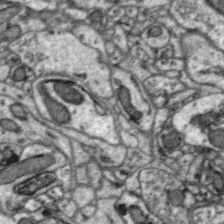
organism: Zebra finch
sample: Brain